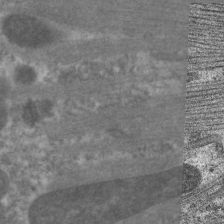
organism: C. elegans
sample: Pharynx